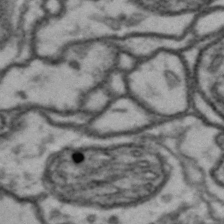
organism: Drosophila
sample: Brain